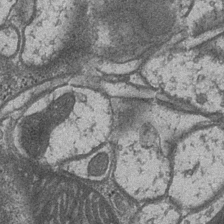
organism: Drosophila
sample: Optic medulla